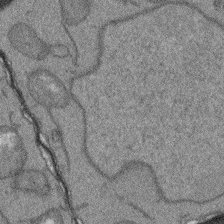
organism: Arabidopsis thaliana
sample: Root tip